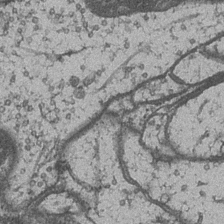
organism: Drosophila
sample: Optic medulla